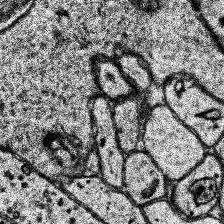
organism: Human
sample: Temporal Lobe